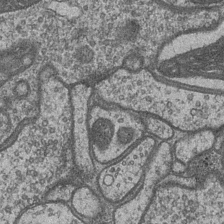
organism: Drosophila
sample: Optic medulla